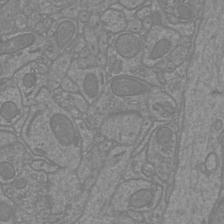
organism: Mouse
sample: Cortical neurons